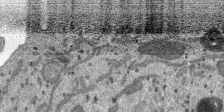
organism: Human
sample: Lung epithelial cells infected with SARS-CoV-2